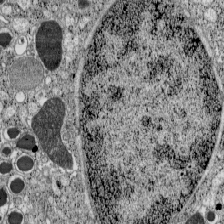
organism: C57BL Mouse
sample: Pancreatic islet